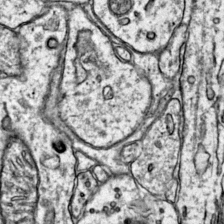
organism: Mouse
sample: Primary visual cortex